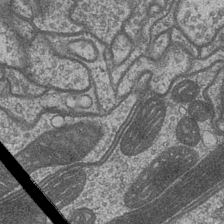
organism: Drosophila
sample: Optic medulla